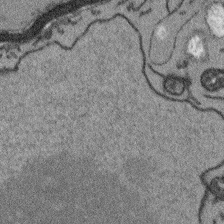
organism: Arabidopsis thaliana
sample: Root tip